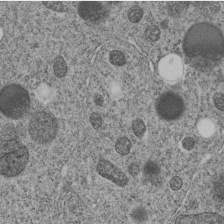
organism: C. elegans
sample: C. elegans embryo early stage